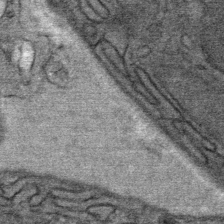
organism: Mouse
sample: Mouse Salivary gland